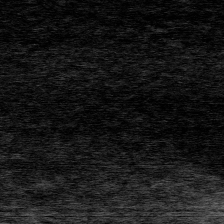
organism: Human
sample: HeLa cells